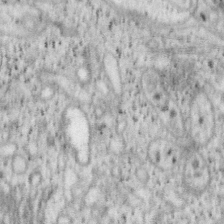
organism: Mouse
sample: OT-I killer T cells with ID8 ovarian cancer cells